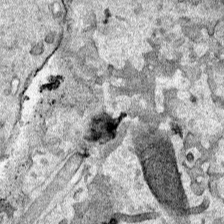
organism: Human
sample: Mitochondria in HCT116 cells